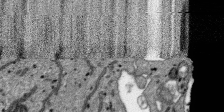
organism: Human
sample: Lung epithelial cells, uninfected (mock) control